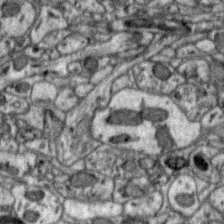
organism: Zebra finch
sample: Brain